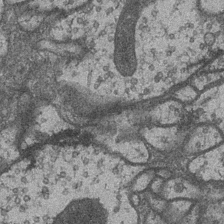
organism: Drosophila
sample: Optic medulla